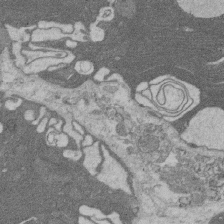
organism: Rat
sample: Salivary granule